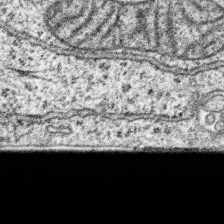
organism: Human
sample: HeLa cells